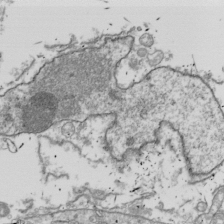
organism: Drosophila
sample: Cell division; meiosis; drosophila spermatocytes